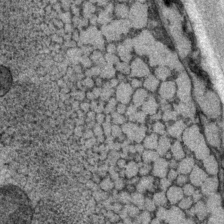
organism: P. pacificus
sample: Pharynx